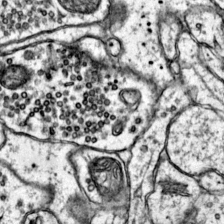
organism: Mouse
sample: Primary visual cortex